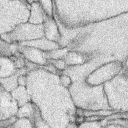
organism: Rabbit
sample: Retina